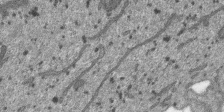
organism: Human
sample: Lung epithelial cells infected with SARS-CoV-2